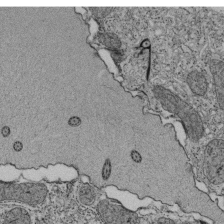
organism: Tetrahymena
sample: Cilia in tetrahymena